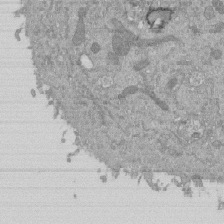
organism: Mouse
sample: ED-1 cell nuclei; centrioles